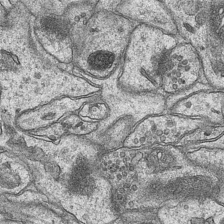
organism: Mouse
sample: CA1 Hippocampus